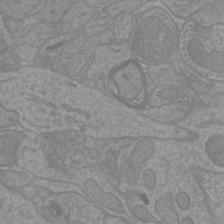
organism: Mouse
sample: Cortical neurons